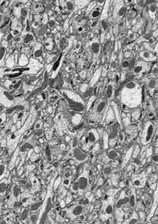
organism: Drosophila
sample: Optic lobe